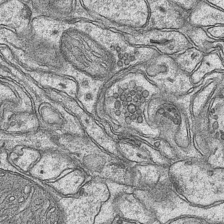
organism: Mouse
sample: CA1 Hippocampus